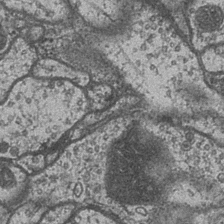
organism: Drosophila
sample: Optic medulla